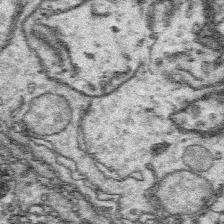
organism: Platynereis dumerilii